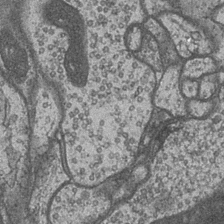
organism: Drosophila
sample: Optic medulla